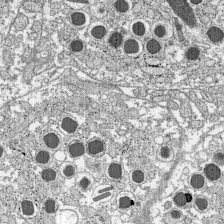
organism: C57BL Mouse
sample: Pancreatic islet